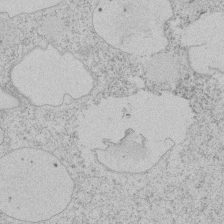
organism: Tetrahymena